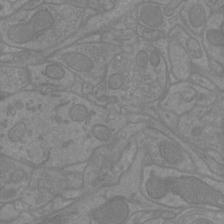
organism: Mouse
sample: Cortical neurons